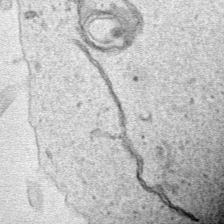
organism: Human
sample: Mitochondria in HCT116 cells